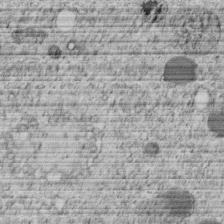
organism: C. elegans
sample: C. elegans embryo early stage